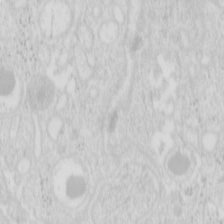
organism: Mouse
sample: Pancreas